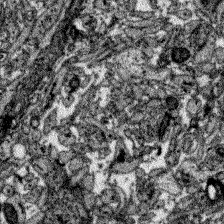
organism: Zebrafish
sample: Larval olfactory bulb